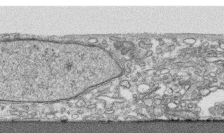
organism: Human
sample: CRL-1474